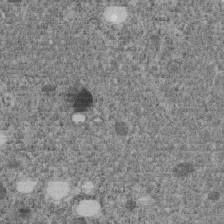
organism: C. elegans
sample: C. elegans embryo early stage